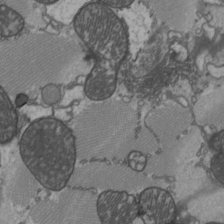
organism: C57BL Mouse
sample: Heart